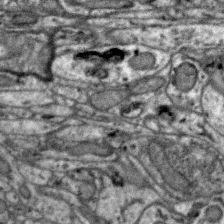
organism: Zebra finch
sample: Brain